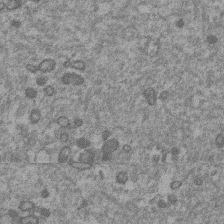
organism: Mouse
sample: Dividing mouse embryo 1 cell stage